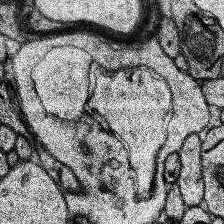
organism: Human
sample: Temporal Lobe